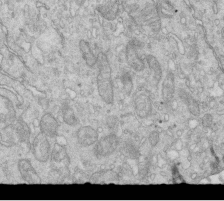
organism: Mouse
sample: Multiciliated cells